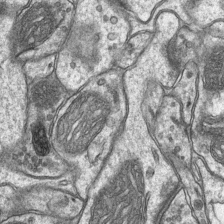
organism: Mouse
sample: CA1 Hippocampus